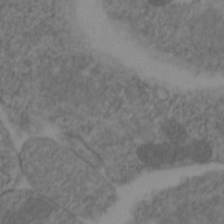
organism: Zebrafish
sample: Zebrafish embryo